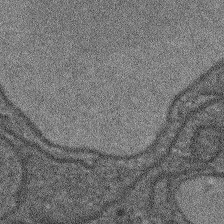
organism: Arabidopsis thaliana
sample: Root tip